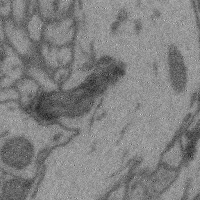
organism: Mouse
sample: Cerebral cortex